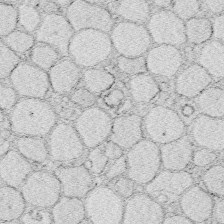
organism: Zebrafish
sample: Whole-Brain